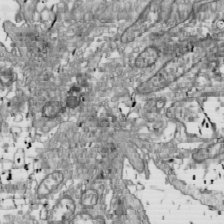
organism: Drosophila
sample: Cell division; meiosis; drosophila spermatocytes